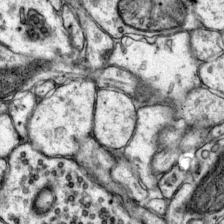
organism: Mouse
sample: Primary visual cortex